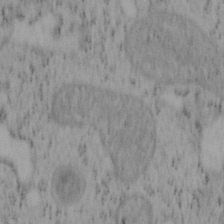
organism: Mouse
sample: OT-I killer T cells with ID8 ovarian cancer cells